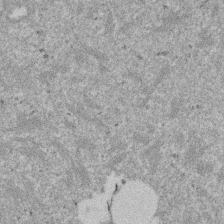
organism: Mouse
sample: Dividing mouse embryo 1 cell stage